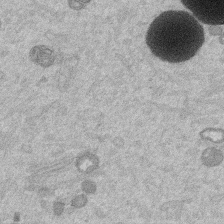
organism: Mouse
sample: Dividing mouse embryo 1 cell stage